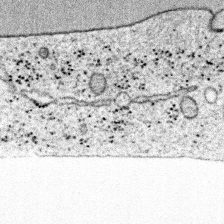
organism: Human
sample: HeLa cells